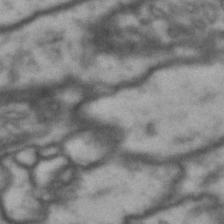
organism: Drosophila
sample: Brain